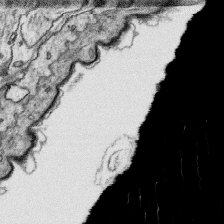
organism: Platynereis dumerilii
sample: Parapodia